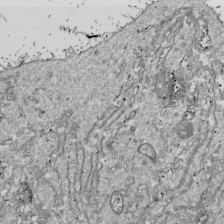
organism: Drosophila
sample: Cell division; meiosis; drosophila spermatocytes